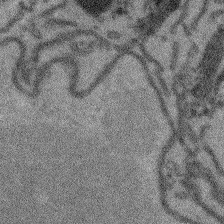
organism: Arabidopsis thaliana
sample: Root tip